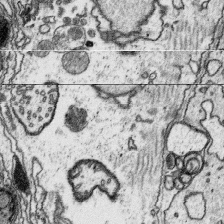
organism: Platynereis dumerilii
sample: Parapodia